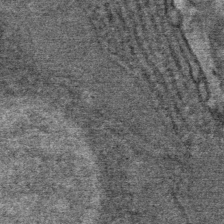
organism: Mouse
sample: Mouse Salivary gland